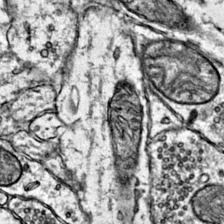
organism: Mouse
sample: Primary visual cortex